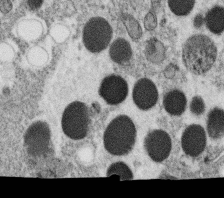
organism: C. elegans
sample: C. elegans oocyte; sperm cells